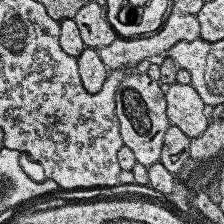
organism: Human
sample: Temporal Lobe